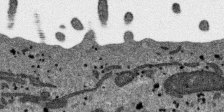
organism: Human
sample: Lung epithelial cells, uninfected (mock) control